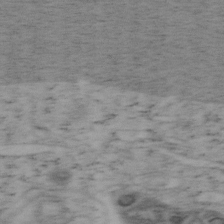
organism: Mouse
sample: OT-I killer T cells with ID8 ovarian cancer cells